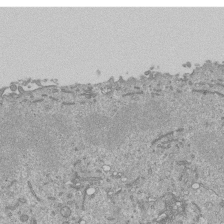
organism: Mouse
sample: ED-1 cell nuclei; centrioles